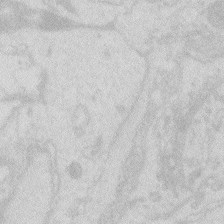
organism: Zebrafish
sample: Macrophage